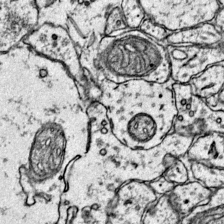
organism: Mouse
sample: Primary visual cortex